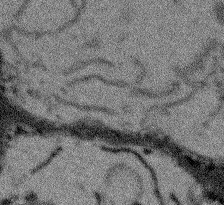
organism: Arabidopsis thaliana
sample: Root tip